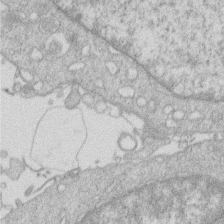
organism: Human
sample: Macrophage cells